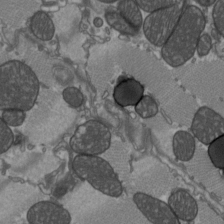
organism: C57BL Mouse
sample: Heart